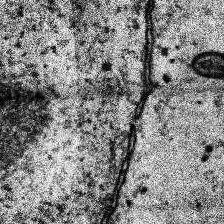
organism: Human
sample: Temporal Lobe